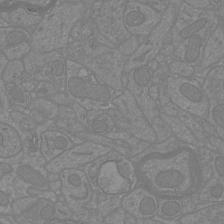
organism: Mouse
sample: Cortical neurons